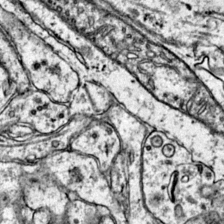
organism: Mouse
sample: Primary visual cortex